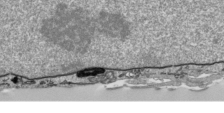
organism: Human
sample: Mitochondria in HCT116 cells